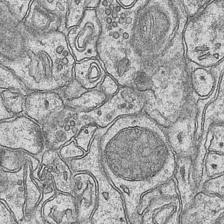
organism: Mouse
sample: CA1 Hippocampus